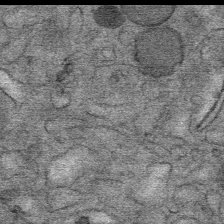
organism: Mouse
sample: Mouse Salivary gland